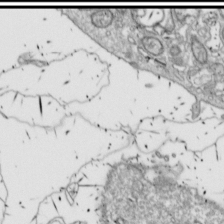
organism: Drosophila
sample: Cell division; meiosis; drosophila spermatocytes